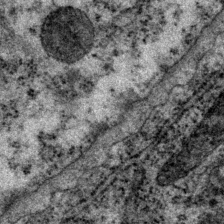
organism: P. pacificus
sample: Pharynx